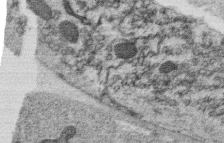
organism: C. elegans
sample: C. elegans oocyte; sperm cells